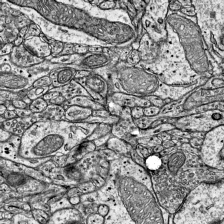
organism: Mouse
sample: Visual Cortex